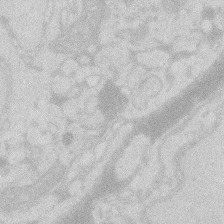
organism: Zebrafish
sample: Macrophage